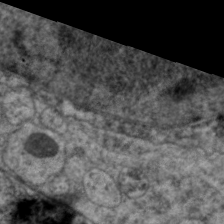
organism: C. elegans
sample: Pharynx